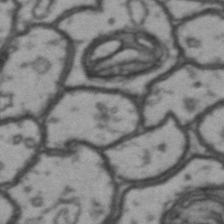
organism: Drosophila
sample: Brain